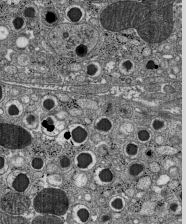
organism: C57BL Mouse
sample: Pancreatic islet